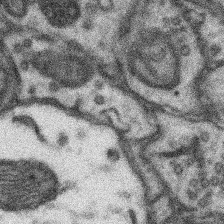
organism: Mouse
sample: Somatosensory cortex neuropil